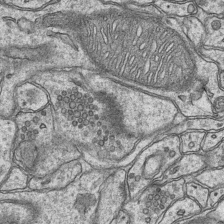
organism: Mouse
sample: CA1 Hippocampus